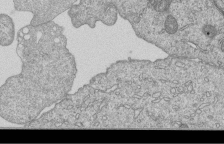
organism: Human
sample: MDA-MB-231 cells